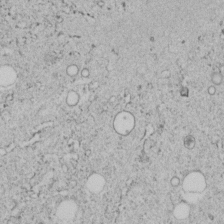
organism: C. elegans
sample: C. elegans embryo early stage